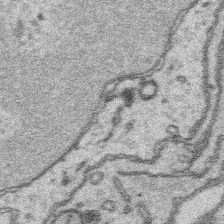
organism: Platynereis dumerilii